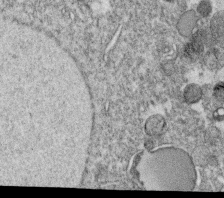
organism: C. elegans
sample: C. elegans oocyte; sperm cells